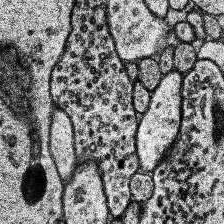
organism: Human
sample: Temporal Lobe